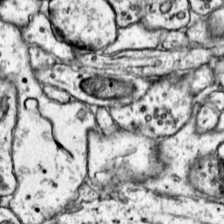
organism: Mouse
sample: Primary visual cortex